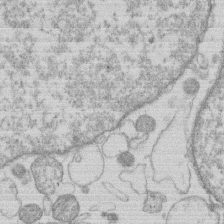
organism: Human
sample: Macrophage cells